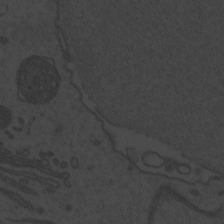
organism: Zebrafish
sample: Macrophage infected with Toxoplasma gondii